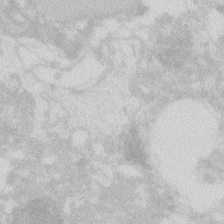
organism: Zebrafish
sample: Macrophage